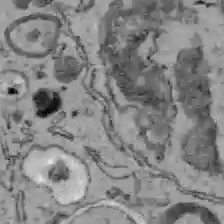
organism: C57BL Mouse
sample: Liver